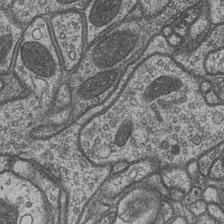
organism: Drosophila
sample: Optic medulla